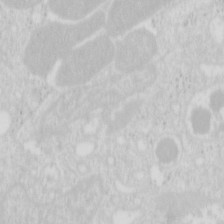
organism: Mouse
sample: Pancreas